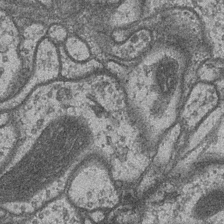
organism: Drosophila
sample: Optic medulla